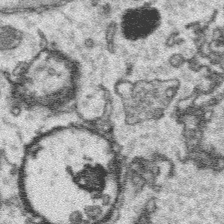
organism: Platynereis dumerilii